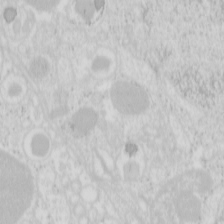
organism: Mouse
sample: Pancreas